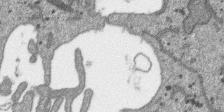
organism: Human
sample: Lung epithelial cells infected with SARS-CoV-2